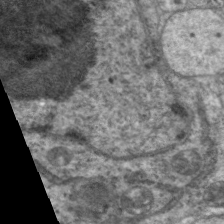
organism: C. elegans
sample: Pharynx